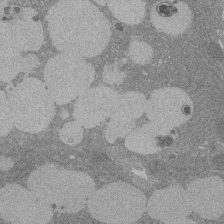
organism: Rat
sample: Salivary granule